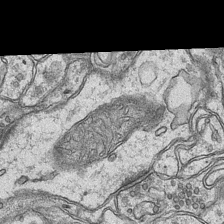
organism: Mouse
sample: CA1 Hippocampus